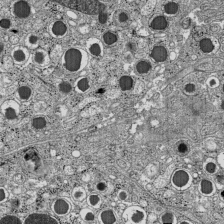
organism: C57BL Mouse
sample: Pancreatic islet